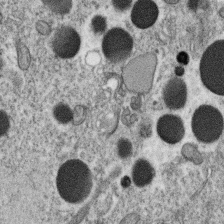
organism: C. elegans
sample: C. elegans oocyte; sperm cells